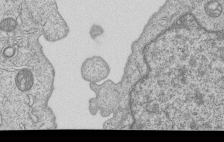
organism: Human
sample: MDA-MB-231 cells